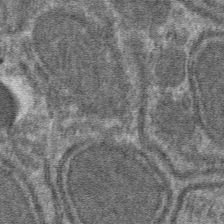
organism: Mouse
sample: Mouse hepatocytes